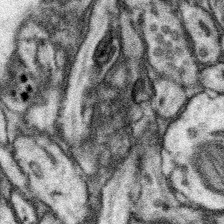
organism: Mouse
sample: Somatosensory cortex neuropil